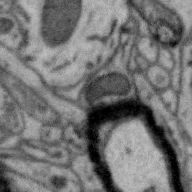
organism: Zebra finch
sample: Brain